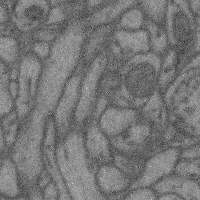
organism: Mouse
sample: Cerebral cortex